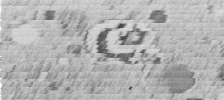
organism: C. elegans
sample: C. elegans embryo early stage